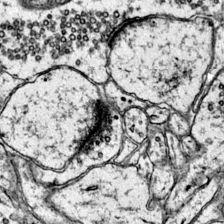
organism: Mouse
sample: Primary visual cortex